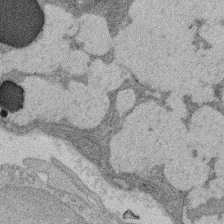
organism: Rat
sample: Salivary granule